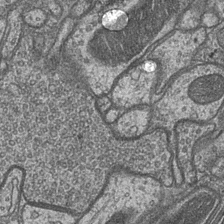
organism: Drosophila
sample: Optic medulla